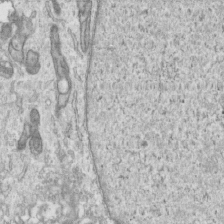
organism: Human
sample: Centriole in RPE cells